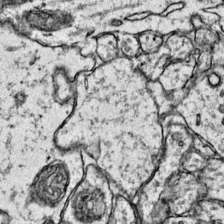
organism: Mouse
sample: Primary visual cortex